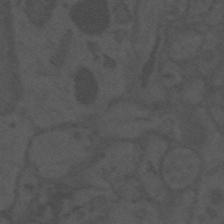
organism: Mouse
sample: Suprachiasmatic nucleus